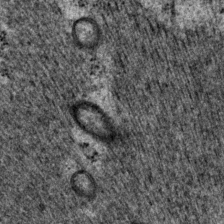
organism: P. pacificus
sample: Pharynx